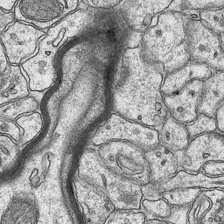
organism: Mouse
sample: CA1 Hippocampus